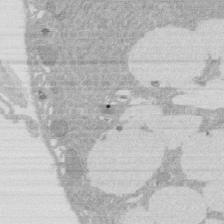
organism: Rat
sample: Salivary granule